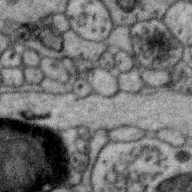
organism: Zebra finch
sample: Brain